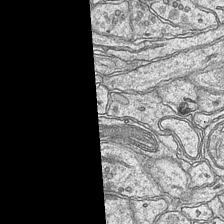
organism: Mouse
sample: CA1 Hippocampus